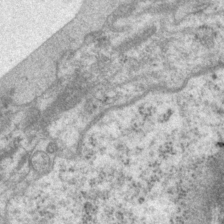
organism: P. pacificus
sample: Pharynx